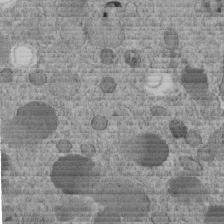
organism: C. elegans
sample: C. elegans embryo early stage